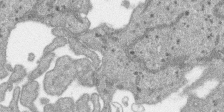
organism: Human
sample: Lung epithelial cells infected with SARS-CoV-2